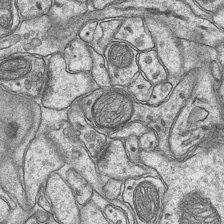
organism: Mouse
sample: CA1 Hippocampus